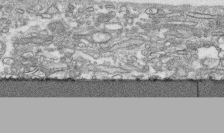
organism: Human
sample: CRL-1474